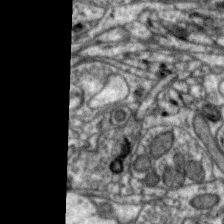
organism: Zebra finch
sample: Brain